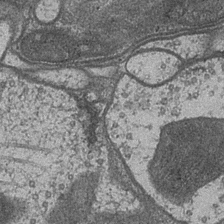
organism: Drosophila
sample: Optic medulla